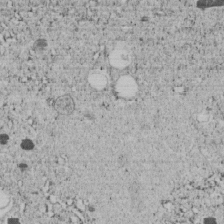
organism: C. elegans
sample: C. elegans embryo early stage